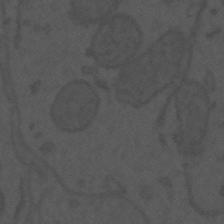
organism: Mouse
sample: Suprachiasmatic nucleus